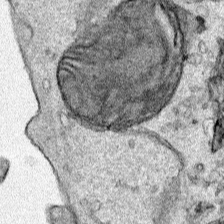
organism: Human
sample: Mitochondria in HCT116 cells